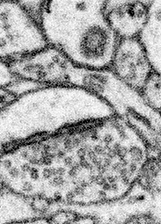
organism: Mouse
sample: Somatosensory cortex neuropil